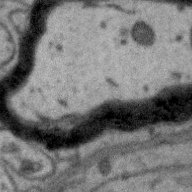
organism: Zebra finch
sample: Brain